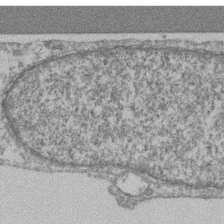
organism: Mouse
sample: T cell stromal cell synapse